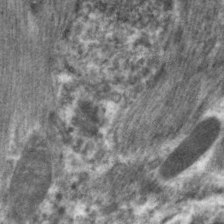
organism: C. elegans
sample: Pharynx